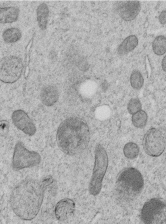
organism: C. elegans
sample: C. elegans embryo early stage